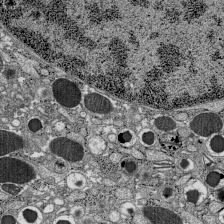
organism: C57BL Mouse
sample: Pancreatic islet